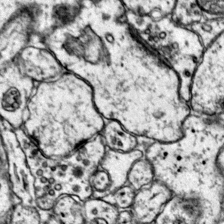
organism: Mouse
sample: Primary visual cortex